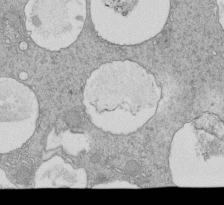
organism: Tetrahymena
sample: Cilia in tetrahymena